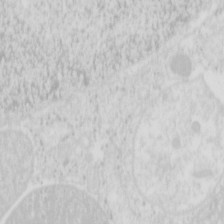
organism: Mouse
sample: Pancreas